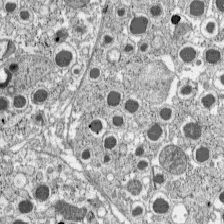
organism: C57BL Mouse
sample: Pancreatic islet